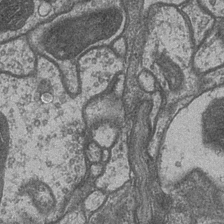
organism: Drosophila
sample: Optic medulla